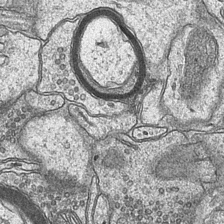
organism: Mouse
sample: CA1 Hippocampus